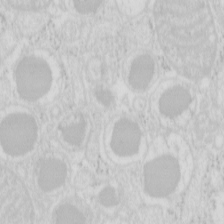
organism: Mouse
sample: Pancreas